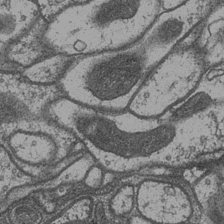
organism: Drosophila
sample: Optic medulla